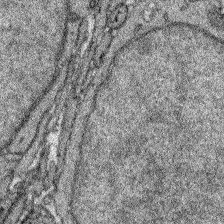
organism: Zebrafish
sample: Larval olfactory bulb